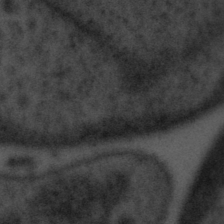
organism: Tuwongella immobilis